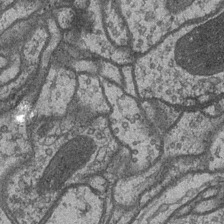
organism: Drosophila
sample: Optic medulla